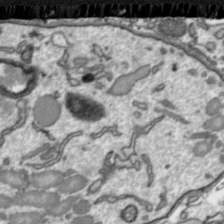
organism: Toxoplasma gondii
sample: Parasites in a vacuole inside a host cell